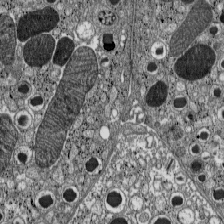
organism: C57BL Mouse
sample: Pancreatic islet